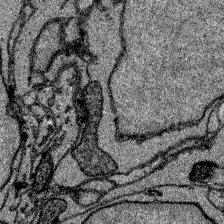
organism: Zebrafish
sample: Larval olfactory bulb